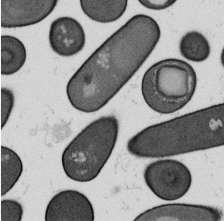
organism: B. subtilis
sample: Bacterial spore